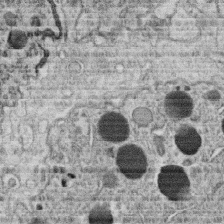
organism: C. elegans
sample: C. elegans oocyte; sperm cells